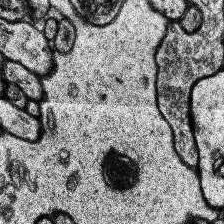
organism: Human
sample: Temporal Lobe